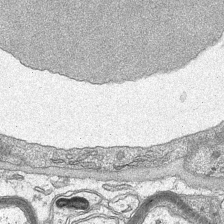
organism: Mouse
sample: CA1 Hippocampus